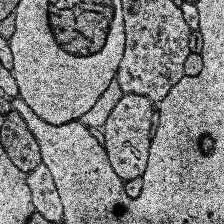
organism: Human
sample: Temporal Lobe